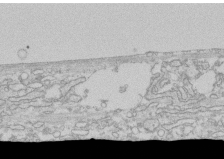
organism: Human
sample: CRL-1474